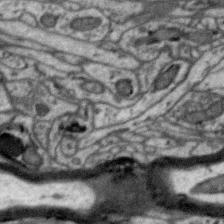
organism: Zebra finch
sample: Brain